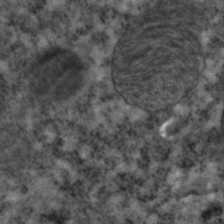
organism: C. elegans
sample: C. elegans embryo